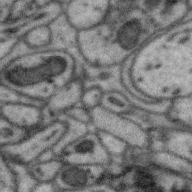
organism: Zebra finch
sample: Brain